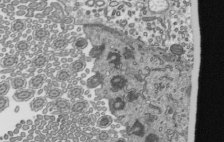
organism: Mouse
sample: Mouse epididymis efferent ductule cilia